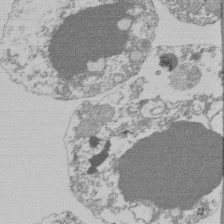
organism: Mouse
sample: Activated Pmel transgenic CD8+ T Cells